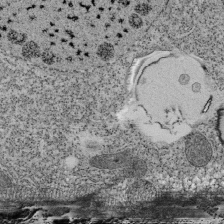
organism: Tetrahymena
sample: Cilia in tetrahymena